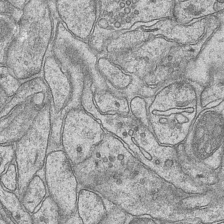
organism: Mouse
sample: CA1 Hippocampus